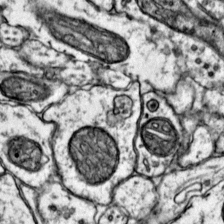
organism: Mouse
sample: Primary visual cortex